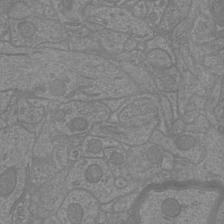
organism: Mouse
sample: Cortical neurons